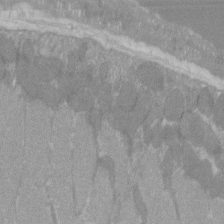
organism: C57BL Mouse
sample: Tibialis anterior muscle cell